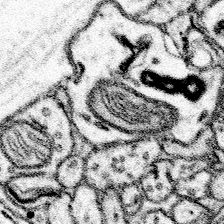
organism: Mouse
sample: Somatosensory cortex neuropil